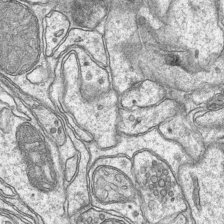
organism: Mouse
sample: CA1 Hippocampus